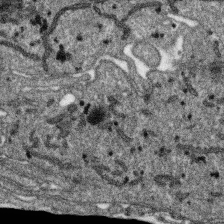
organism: Human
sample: Lung epithelial cells infected with SARS-CoV-2